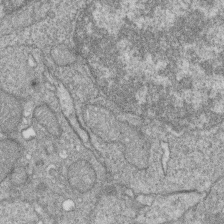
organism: Zebrafish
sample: Cilia; retinal pigment epithelium